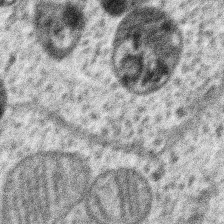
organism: Human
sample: HeLa cells